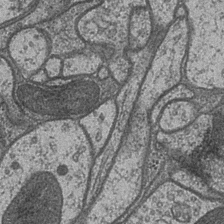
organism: Drosophila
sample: Optic medulla